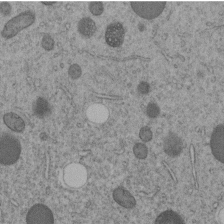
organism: C. elegans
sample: C. elegans embryo early stage